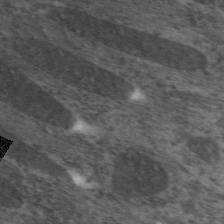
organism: C. elegans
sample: Pharynx